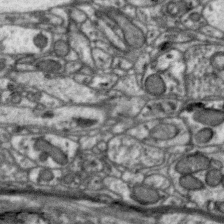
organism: Zebra finch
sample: Brain